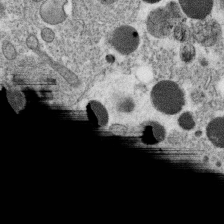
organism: C. elegans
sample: C. elegans oocyte; sperm cells